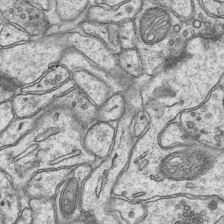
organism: Mouse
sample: CA1 Hippocampus